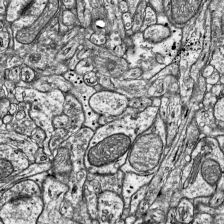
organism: Mouse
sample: Visual Cortex